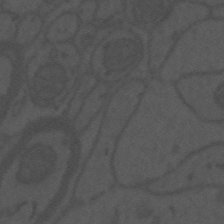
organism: Mouse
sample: Suprachiasmatic nucleus